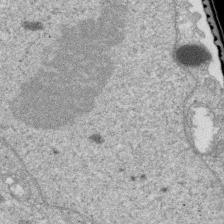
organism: Human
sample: HeLa cell HIV synapse